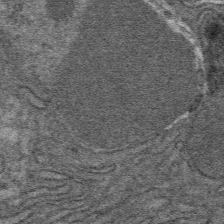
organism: Mouse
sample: Mouse hepatocytes